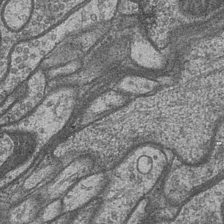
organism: Drosophila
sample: Optic medulla